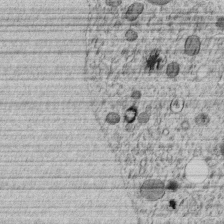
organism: C. elegans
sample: C. elegans embryo early stage